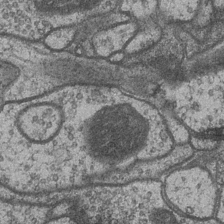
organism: Drosophila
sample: Optic medulla